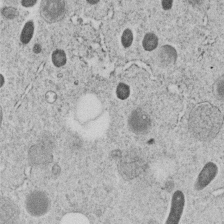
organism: C. elegans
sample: C. elegans embryo early stage